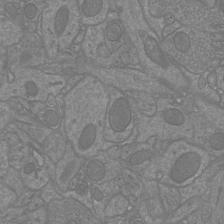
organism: Mouse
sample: Cortical neurons